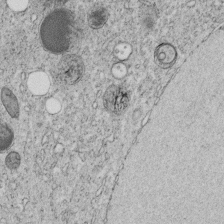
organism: C. elegans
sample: C. elegans embryo early stage